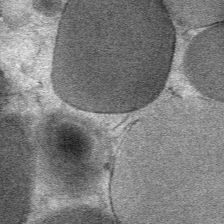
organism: Mouse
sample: Mouse Salivary gland